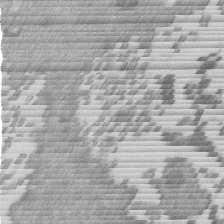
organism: Mouse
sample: Dividing mouse embryo 1 cell stage